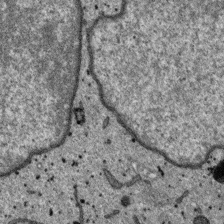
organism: Human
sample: Lung epithelial cells, uninfected (mock) control